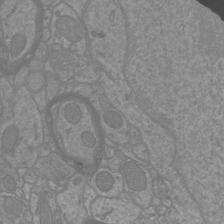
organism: Mouse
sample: Cortical neurons